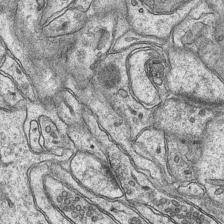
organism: Mouse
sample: CA1 Hippocampus